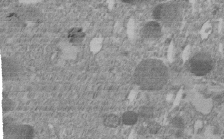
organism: C. elegans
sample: C. elegans embryo early stage